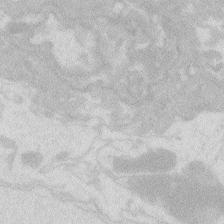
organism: Zebrafish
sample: Macrophage